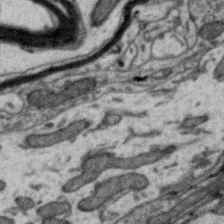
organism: Zebra finch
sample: Brain